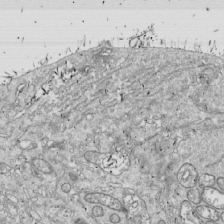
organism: Drosophila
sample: Cell division; meiosis; drosophila spermatocytes